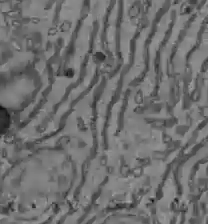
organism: C57BL Mouse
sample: Liver